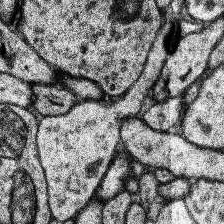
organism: Human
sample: Temporal Lobe